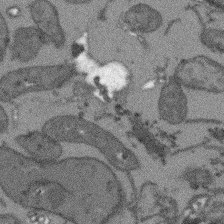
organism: Arabidopsis thaliana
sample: Root tip